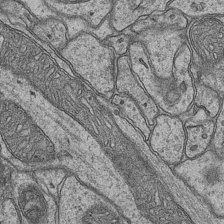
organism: Mouse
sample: CA1 Hippocampus